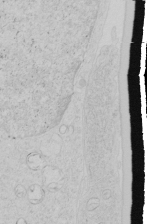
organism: Human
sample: Mitochondria in HCT116 cells